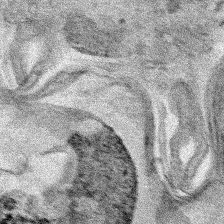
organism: Human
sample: Mitochondria in HCT116 cells